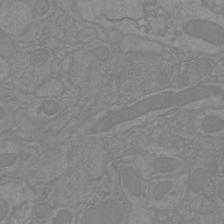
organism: Mouse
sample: Cortical neurons